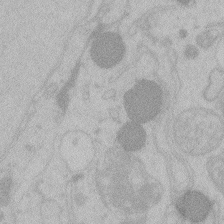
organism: Zebrafish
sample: Macrophage infected with Toxoplasma gondii